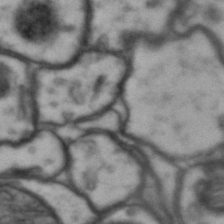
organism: Drosophila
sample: Brain